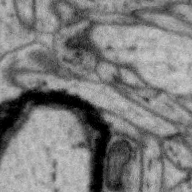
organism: Zebra finch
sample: Brain